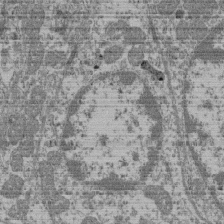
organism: Mouse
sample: Glomerulus